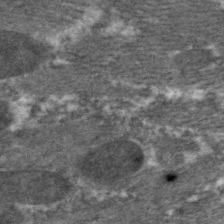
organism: C. elegans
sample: Pharynx